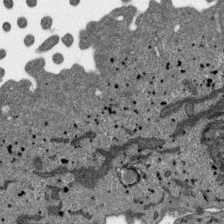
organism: Human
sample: Lung epithelial cells, uninfected (mock) control